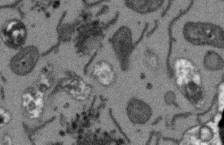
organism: Arabidopsis thaliana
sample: Root tip